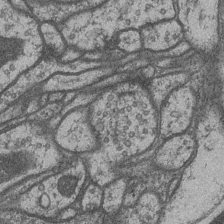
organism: Drosophila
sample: Optic medulla